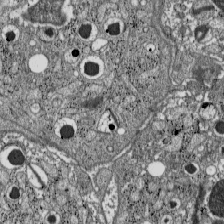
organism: C57BL Mouse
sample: Pancreatic islet